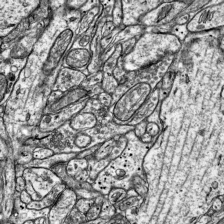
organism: Mouse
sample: Visual Cortex